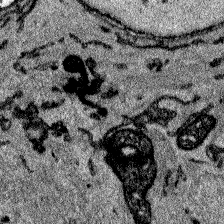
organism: Zebrafish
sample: Larval olfactory bulb